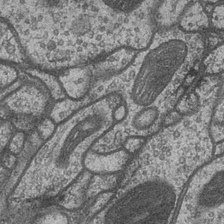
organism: Drosophila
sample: Optic medulla